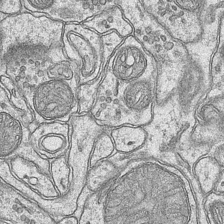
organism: Mouse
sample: CA1 Hippocampus